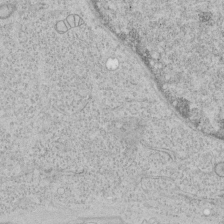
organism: Human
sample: Mitochondria in HCT116 cells